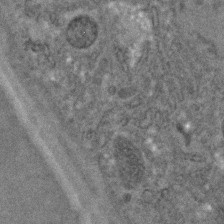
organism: C. elegans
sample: C. elegans embryo